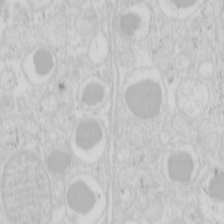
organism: Mouse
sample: Pancreas